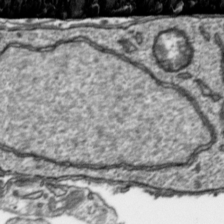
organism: Toxoplasma gondii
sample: Parasites in a vacuole inside a host cell